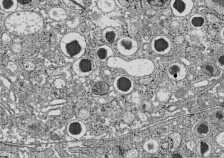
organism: C57BL Mouse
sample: Pancreatic islet